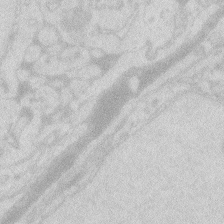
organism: Zebrafish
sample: Macrophage